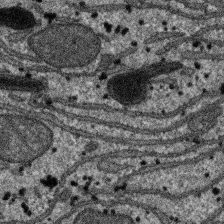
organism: Human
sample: Lung epithelial cells infected with SARS-CoV-2